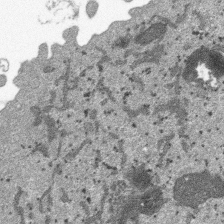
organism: Human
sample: Lung epithelial cells infected with SARS-CoV-2